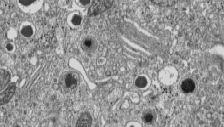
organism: C57BL Mouse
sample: Pancreatic islet